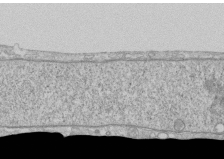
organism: Human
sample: CRL-1474